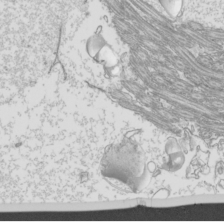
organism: Mouse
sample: Cilia; mouse epididymis